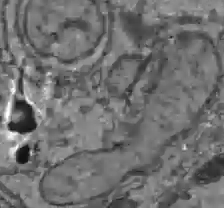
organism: C57BL Mouse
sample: Liver